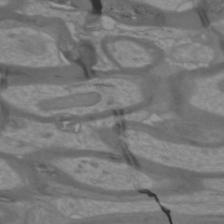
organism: Mouse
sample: Cortical neurons